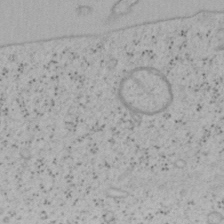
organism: Human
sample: HeLa cells